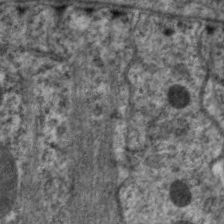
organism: C. elegans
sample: Pharynx